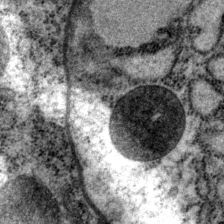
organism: P. pacificus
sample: Pharynx